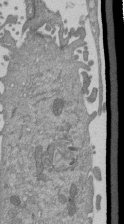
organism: Mouse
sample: ED-1 cell nuclei; centrioles